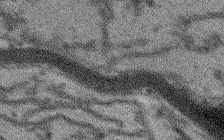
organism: Arabidopsis thaliana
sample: Root tip